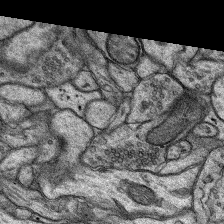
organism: Rat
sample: Hippocampus